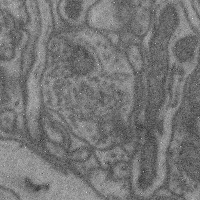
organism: Mouse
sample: Cerebral cortex